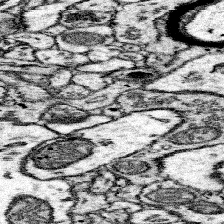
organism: Mouse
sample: Somatosensory cortex neuropil